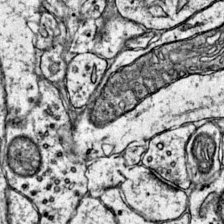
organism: Mouse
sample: Primary visual cortex